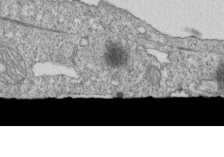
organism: Human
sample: HeLa cell HIV synapse